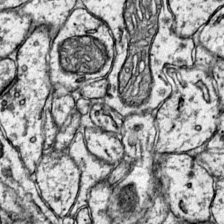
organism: Mouse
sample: Primary visual cortex